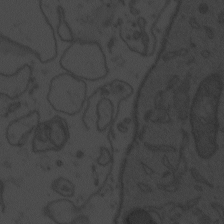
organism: Zebrafish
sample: Macrophage infected with Toxoplasma gondii